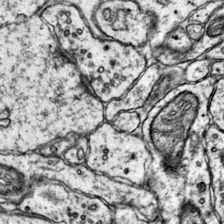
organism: Mouse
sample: Primary visual cortex